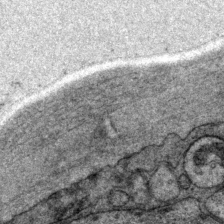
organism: P. pacificus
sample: Pharynx